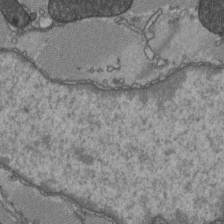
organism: C57BL Mouse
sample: Heart